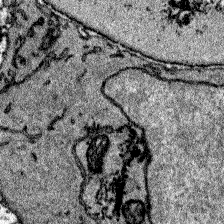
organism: Zebrafish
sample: Larval olfactory bulb